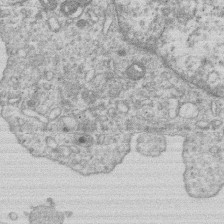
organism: Human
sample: Macrophage cells